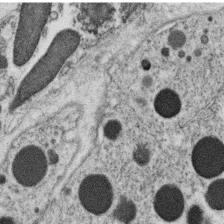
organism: C. elegans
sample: C. elegans oocyte; sperm cells